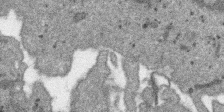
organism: Human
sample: Lung epithelial cells infected with SARS-CoV-2